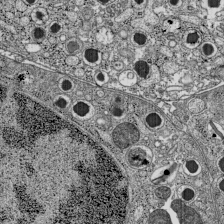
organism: C57BL Mouse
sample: Pancreatic islet